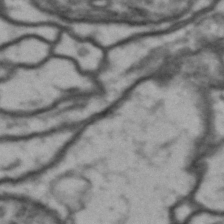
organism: Drosophila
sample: Brain